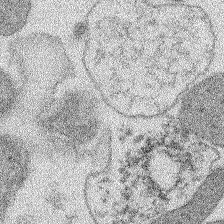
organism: Human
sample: HeLa cells